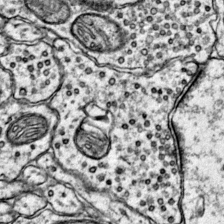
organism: Mouse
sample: Primary visual cortex